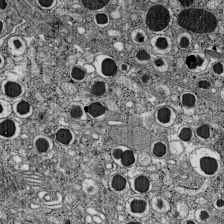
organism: C57BL Mouse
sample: Pancreatic islet